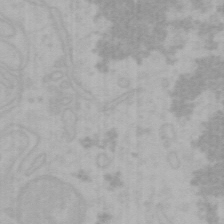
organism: Mouse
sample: Choroid plexus